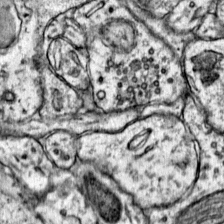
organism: Mouse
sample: Primary visual cortex